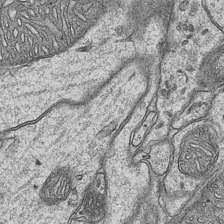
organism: Mouse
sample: CA1 Hippocampus